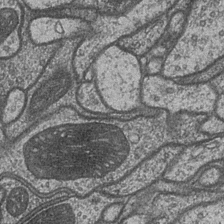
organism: Drosophila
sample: Optic medulla